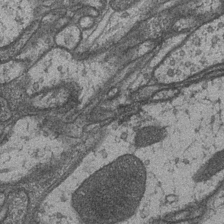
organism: Drosophila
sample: Optic medulla